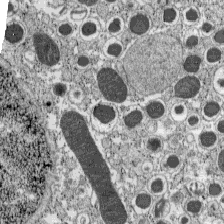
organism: C57BL Mouse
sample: Pancreatic islet